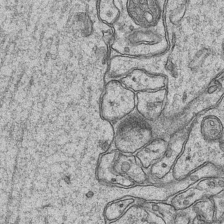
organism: Mouse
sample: CA1 Hippocampus